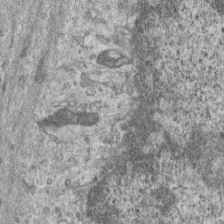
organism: Mouse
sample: Centriole in ependymal cells